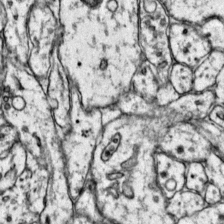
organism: Mouse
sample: Primary visual cortex